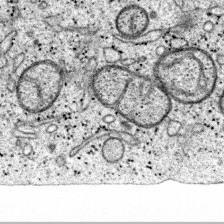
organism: Human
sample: HeLa cells